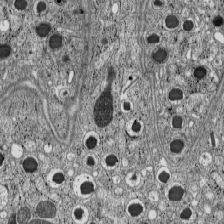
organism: C57BL Mouse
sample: Pancreatic islet